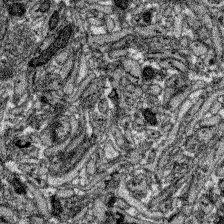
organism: Zebrafish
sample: Larval olfactory bulb